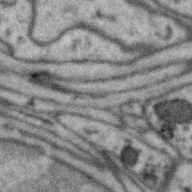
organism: Zebra finch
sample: Brain